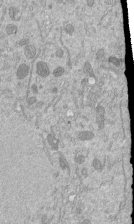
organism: Mouse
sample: ED-1 cell nuclei; centrioles